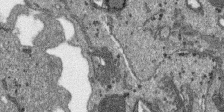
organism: Human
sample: Lung epithelial cells infected with SARS-CoV-2